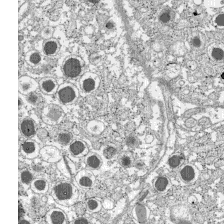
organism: C57BL Mouse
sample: Pancreatic islet